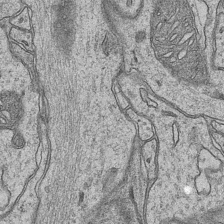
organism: Mouse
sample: CA1 Hippocampus